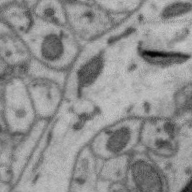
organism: Zebra finch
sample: Brain